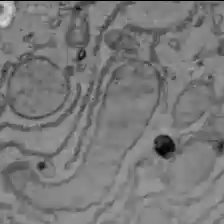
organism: C57BL Mouse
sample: Liver